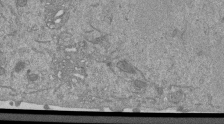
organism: Mouse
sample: ED-1 cell nuclei; centrioles